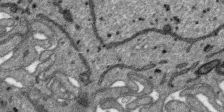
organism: Human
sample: Lung epithelial cells, uninfected (mock) control